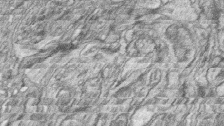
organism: Zebrafish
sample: synaptic ribbons in rod cells and cone cells